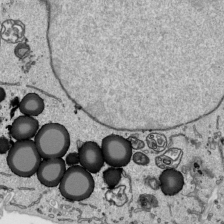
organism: Human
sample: Mitochondria in HCT116 cells